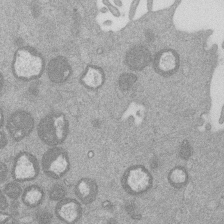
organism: Mouse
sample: Dividing mouse embryo 1 cell stage